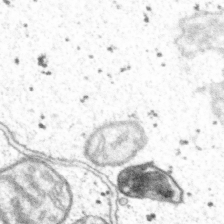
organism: Human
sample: HeLa cells